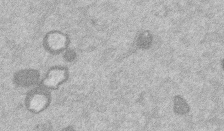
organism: Mouse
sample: Dividing mouse embryo 1 cell stage